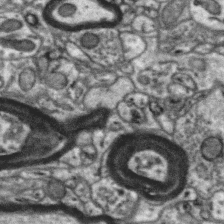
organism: Zebra finch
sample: Brain